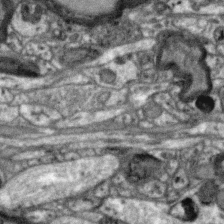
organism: Zebra finch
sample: Brain